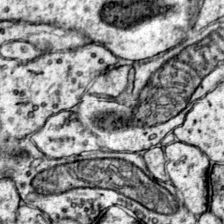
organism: Mouse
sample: Primary visual cortex